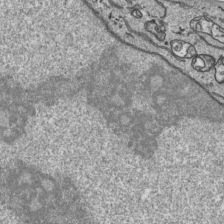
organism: Human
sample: Mitochondria in HCT116 cells